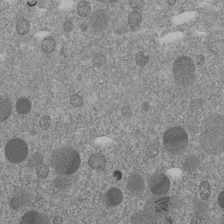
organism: C. elegans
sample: C. elegans embryo early stage